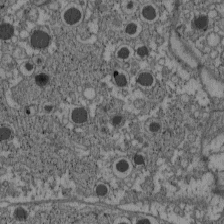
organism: C57BL Mouse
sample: Pancreatic islet